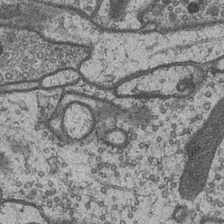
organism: Drosophila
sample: Optic medulla